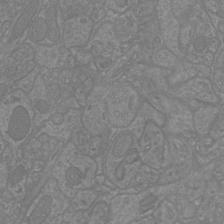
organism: Mouse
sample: Cortical neurons